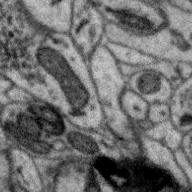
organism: Zebra finch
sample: Brain